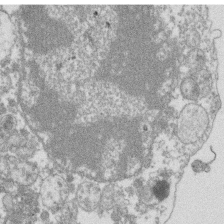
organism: Human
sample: HeLa cell HIV synapse